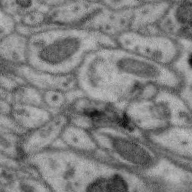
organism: Zebra finch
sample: Brain